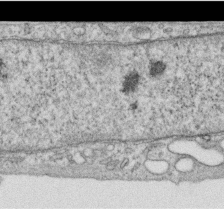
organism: Human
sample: Centriole in RPE cells